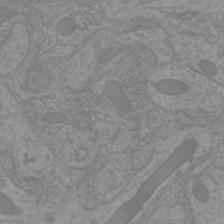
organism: Mouse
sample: Cortical neurons